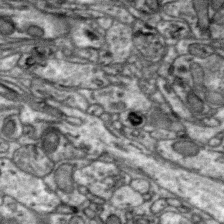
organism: Zebra finch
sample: Brain